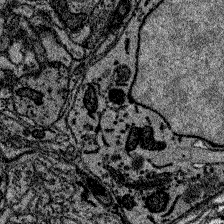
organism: Zebrafish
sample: Larval olfactory bulb